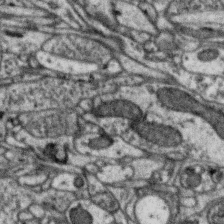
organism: Zebra finch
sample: Brain